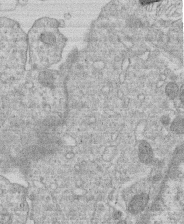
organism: Human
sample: Macrophage cells